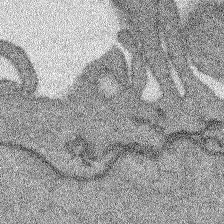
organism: Human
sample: HeLa cells